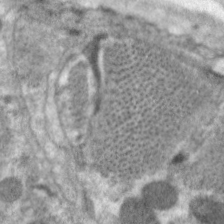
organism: C. elegans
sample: Pharynx